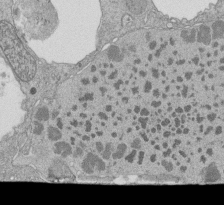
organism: Tetrahymena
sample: Cilia in tetrahymena